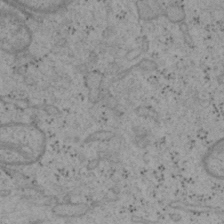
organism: Human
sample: HeLa cells